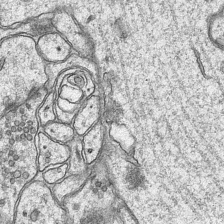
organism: Mouse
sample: CA1 Hippocampus